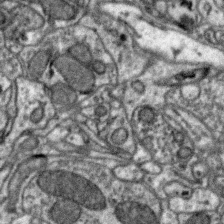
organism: Zebra finch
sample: Brain